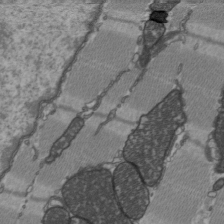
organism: C57BL Mouse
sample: Heart